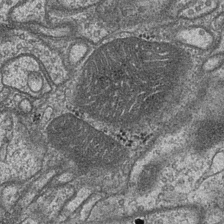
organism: Drosophila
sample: Optic medulla